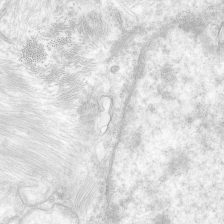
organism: Human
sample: Neocortex